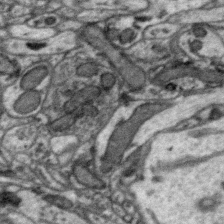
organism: Zebra finch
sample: Brain